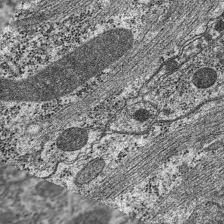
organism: C. elegans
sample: Pharynx